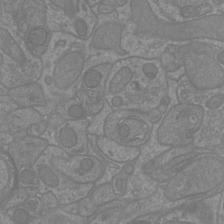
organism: Mouse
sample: Cortical neurons